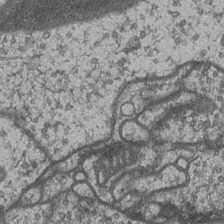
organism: Drosophila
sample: Optic medulla